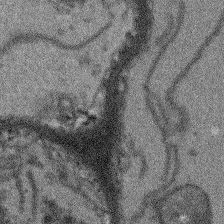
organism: Arabidopsis thaliana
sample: Root tip